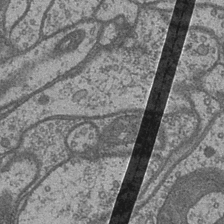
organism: Drosophila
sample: Optic medulla